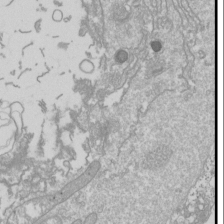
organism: Drosophila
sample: Cell division; meiosis; drosophila spermatocytes